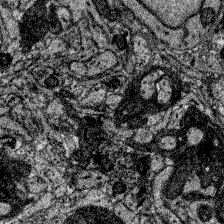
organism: Zebrafish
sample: Larval olfactory bulb